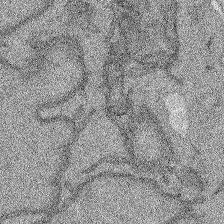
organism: Human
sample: HeLa cells